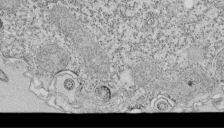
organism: Tetrahymena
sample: Cilia in tetrahymena